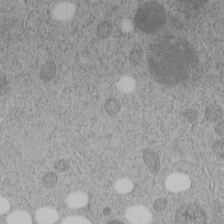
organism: C. elegans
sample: C. elegans embryo early stage